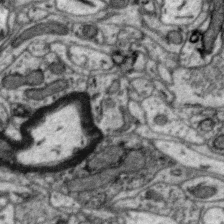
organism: Zebra finch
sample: Brain